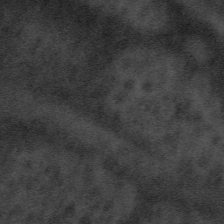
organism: Tuwongella immobilis